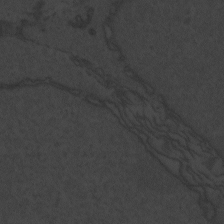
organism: Zebrafish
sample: Macrophage infected with Toxoplasma gondii